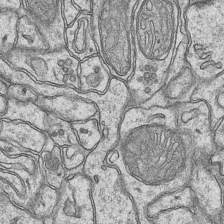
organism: Mouse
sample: CA1 Hippocampus